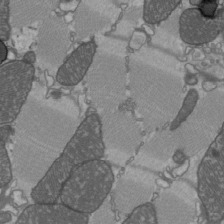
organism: C57BL Mouse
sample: Heart